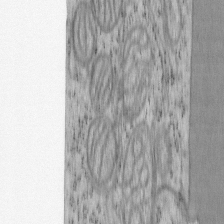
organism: Human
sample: HeLa cells